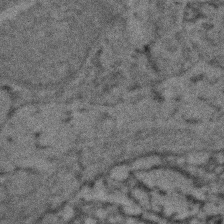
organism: Zebrafish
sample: Zebrafish embryo